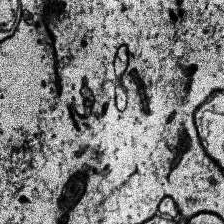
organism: Human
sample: Temporal Lobe